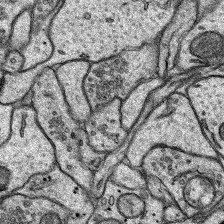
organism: Rat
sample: Hippocampus